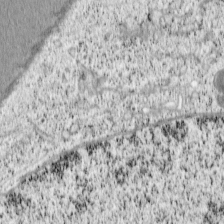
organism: African green monkey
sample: COS-7 cells